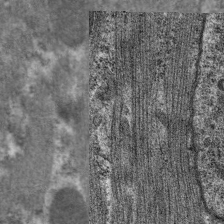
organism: C. elegans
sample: Pharynx